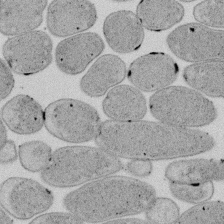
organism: E. coli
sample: Bacterial nucleoid